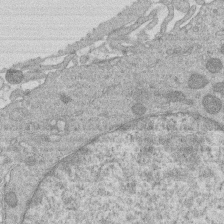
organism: Human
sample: Macrophage cells